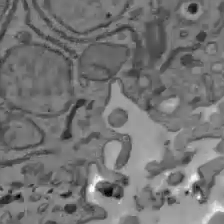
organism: C57BL Mouse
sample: Liver